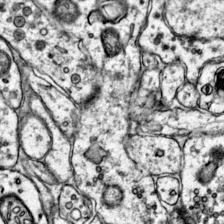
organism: Mouse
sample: Primary visual cortex